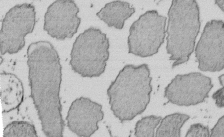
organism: E. coli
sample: Bacterial nucleoid